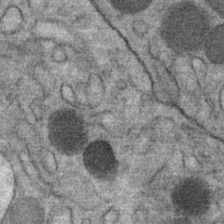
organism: Mouse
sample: Mouse Salivary gland